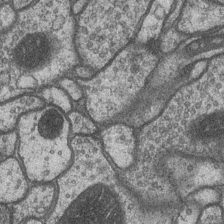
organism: Drosophila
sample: Optic medulla